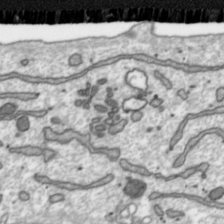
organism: Toxoplasma gondii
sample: Parasites in a vacuole inside a host cell